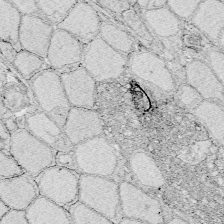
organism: Zebrafish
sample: Whole-Brain